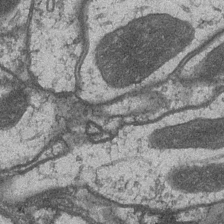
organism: Drosophila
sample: Optic medulla